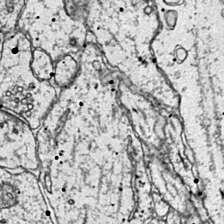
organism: Mouse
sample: Primary visual cortex